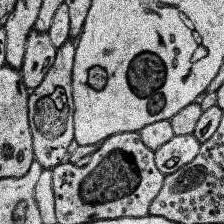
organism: Human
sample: Temporal Lobe